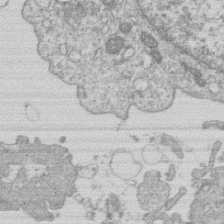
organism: Human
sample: Macrophage cells